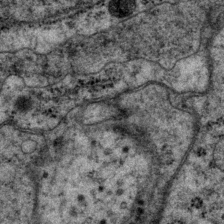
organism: P. pacificus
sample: Pharynx